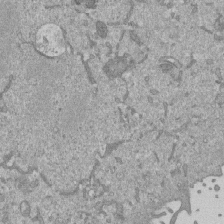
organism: Mouse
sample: ED-1 cell nuclei; centrioles